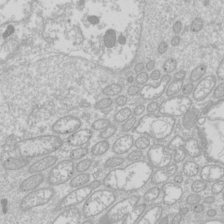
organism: Drosophila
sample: Cell division; meiosis; drosophila spermatocytes